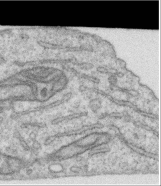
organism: Human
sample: Centriole in RPE cells